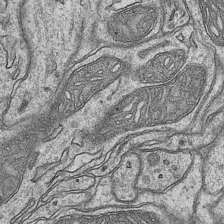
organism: Mouse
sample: CA1 Hippocampus